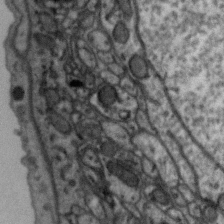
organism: Zebra finch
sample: Brain